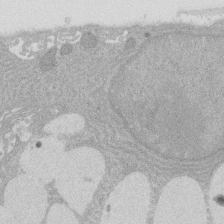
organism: Rat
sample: Salivary granule